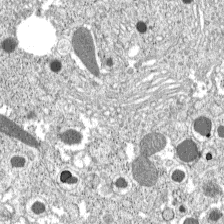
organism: C57BL Mouse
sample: Pancreatic islet